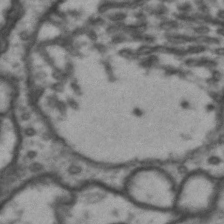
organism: Drosophila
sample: Brain